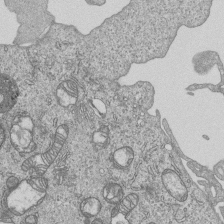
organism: Human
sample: MDA-MB-231 cells